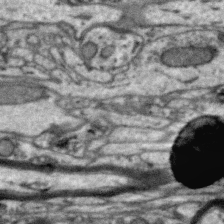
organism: Zebra finch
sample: Brain